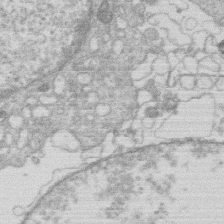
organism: Human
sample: Macrophage cells